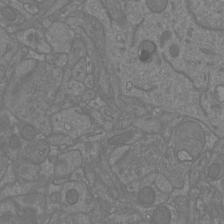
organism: Mouse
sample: Cortical neurons